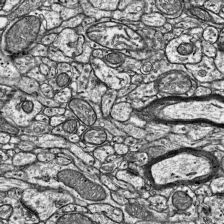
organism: Mouse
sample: Visual Cortex